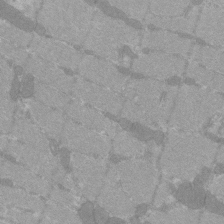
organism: C57BL Mouse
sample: Tibialis anterior muscle cell